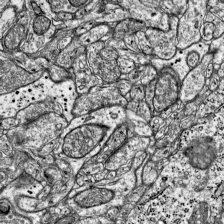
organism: Mouse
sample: Visual Cortex